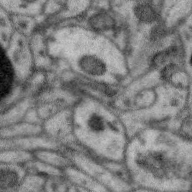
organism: Zebra finch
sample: Brain